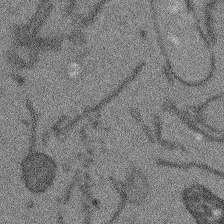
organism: Arabidopsis thaliana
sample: Root tip